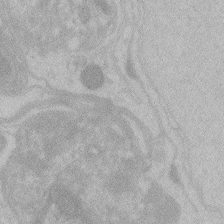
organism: Zebrafish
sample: Macrophage infected with Toxoplasma gondii